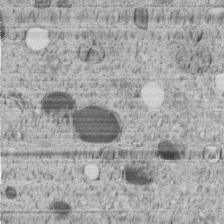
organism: C. elegans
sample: C. elegans embryo early stage